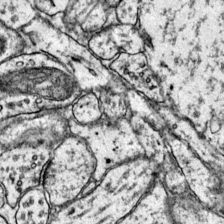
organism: Mouse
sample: Primary visual cortex